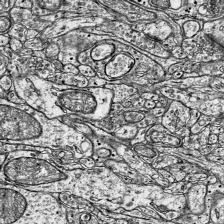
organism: Mouse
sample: Visual Cortex